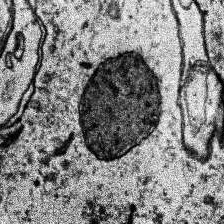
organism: Human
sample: Temporal Lobe